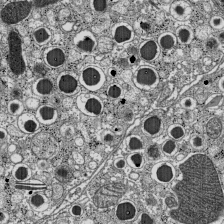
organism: C57BL Mouse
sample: Pancreatic islet